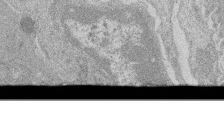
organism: Mouse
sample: Glomerulus